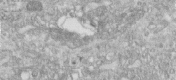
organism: Human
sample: Centriole in fibroblast cells